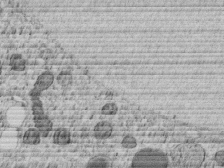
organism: C. elegans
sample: C. elegans embryo early stage